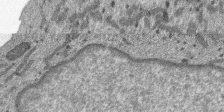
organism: Human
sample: Lung epithelial cells infected with SARS-CoV-2